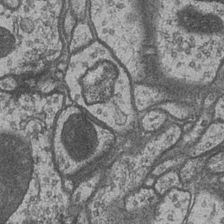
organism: Drosophila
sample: Optic medulla